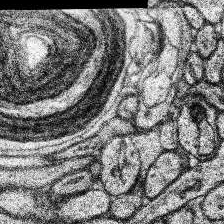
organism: Human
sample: Temporal Lobe